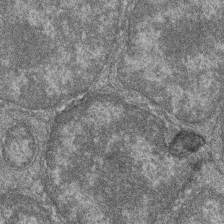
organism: Zebrafish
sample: Cilia; retinal pigment epithelium